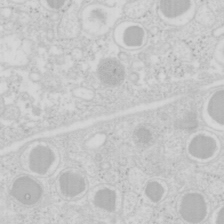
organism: Mouse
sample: Pancreas